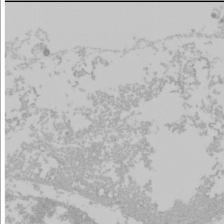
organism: Mouse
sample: Cancer cell death in ED-1 cells